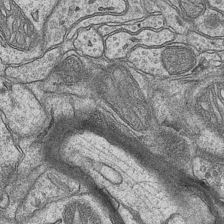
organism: Mouse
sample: CA1 Hippocampus